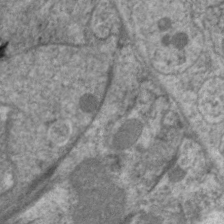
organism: C. elegans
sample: Pharynx